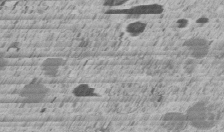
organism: C. elegans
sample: C. elegans embryo early stage